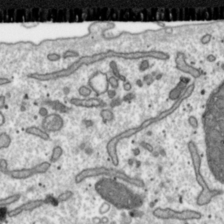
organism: Toxoplasma gondii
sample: Parasites in a vacuole inside a host cell